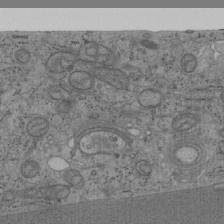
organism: Human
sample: HeLa cells